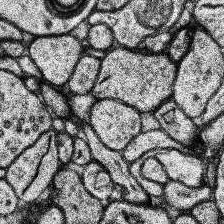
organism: Human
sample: Temporal Lobe